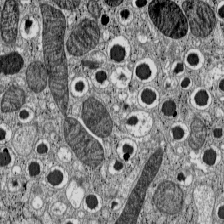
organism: C57BL Mouse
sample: Pancreatic islet